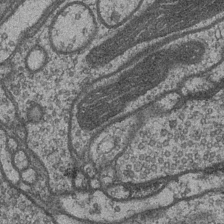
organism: Drosophila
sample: Optic medulla